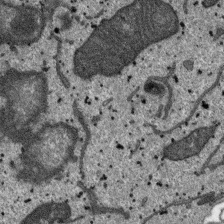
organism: Human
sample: Lung epithelial cells, uninfected (mock) control